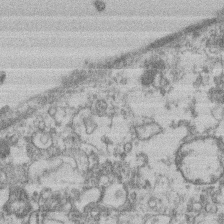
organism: Mouse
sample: T cell stromal cell synapse